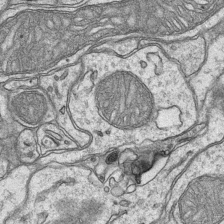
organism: Mouse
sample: CA1 Hippocampus